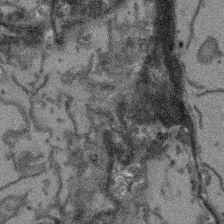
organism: Arabidopsis thaliana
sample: Root tip